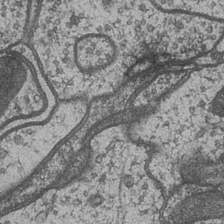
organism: Drosophila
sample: Optic medulla